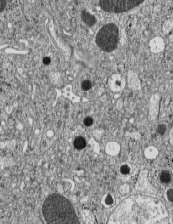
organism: C57BL Mouse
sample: Pancreatic islet